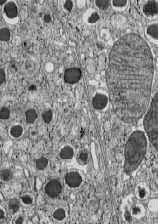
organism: C57BL Mouse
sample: Pancreatic islet